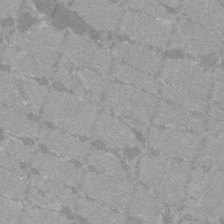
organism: C57BL Mouse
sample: Tibialis anterior muscle cell